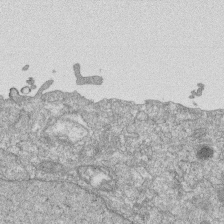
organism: Human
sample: HeLa cell HIV synapse